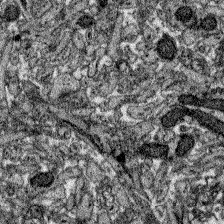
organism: Zebrafish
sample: Larval olfactory bulb